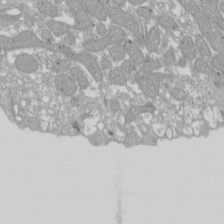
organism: Xenopus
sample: Cilia; centrioles in frog embryo cells